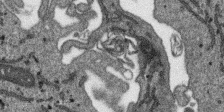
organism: Human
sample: Lung epithelial cells infected with SARS-CoV-2